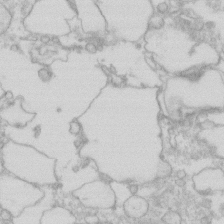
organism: Human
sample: Fibroblast cells